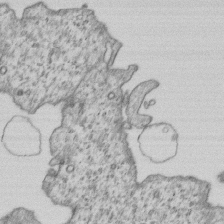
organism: Human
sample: MDA-MB-231 cells